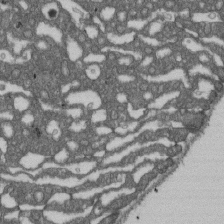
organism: Drosophila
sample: Nephrocyte